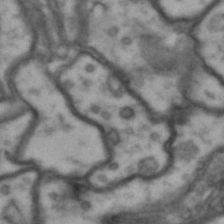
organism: Drosophila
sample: Brain